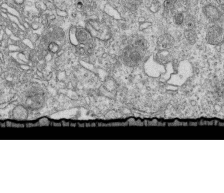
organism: Human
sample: HeLa cell HIV synapse